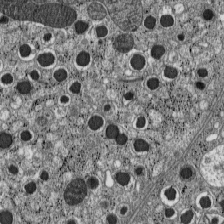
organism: C57BL Mouse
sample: Pancreatic islet